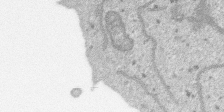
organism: Human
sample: Lung epithelial cells infected with SARS-CoV-2